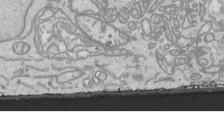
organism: Human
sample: Mitochondria in HCT116 cells